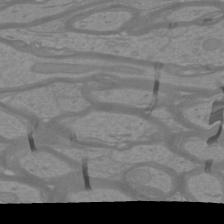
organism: Mouse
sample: Cortical neurons